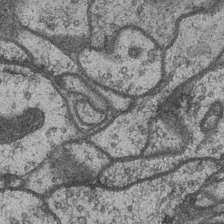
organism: Drosophila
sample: Optic medulla